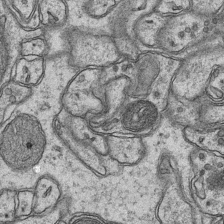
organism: Mouse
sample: CA1 Hippocampus